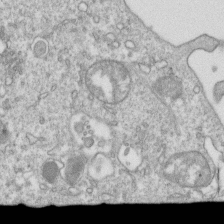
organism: Mouse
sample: Activated OT-1 CD8+ T cells